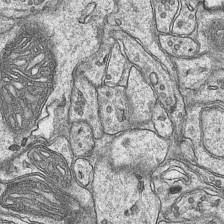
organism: Mouse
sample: CA1 Hippocampus